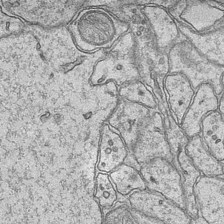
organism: Mouse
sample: CA1 Hippocampus